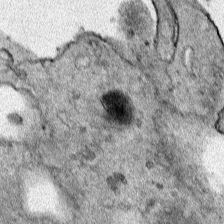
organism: Human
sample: Mitochondria in HCT116 cells